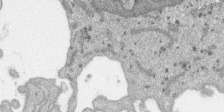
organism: Human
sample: Lung epithelial cells infected with SARS-CoV-2